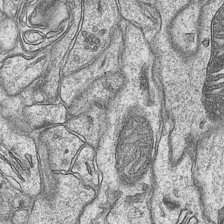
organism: Mouse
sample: CA1 Hippocampus